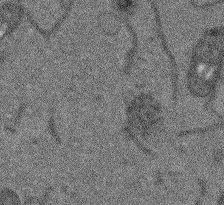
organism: Arabidopsis thaliana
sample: Root tip